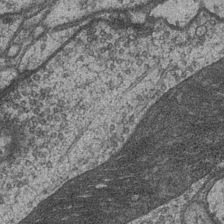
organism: Drosophila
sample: Optic medulla